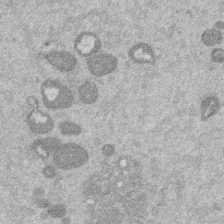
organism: Mouse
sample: Dividing mouse embryo 1 cell stage